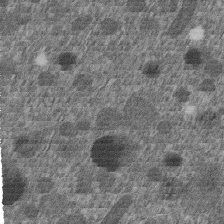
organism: C. elegans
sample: C. elegans embryo early stage